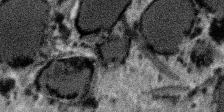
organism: Human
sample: Lung epithelial cells infected with SARS-CoV-2